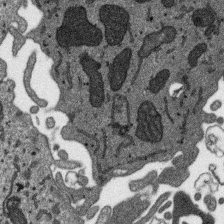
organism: Human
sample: Lung epithelial cells infected with SARS-CoV-2